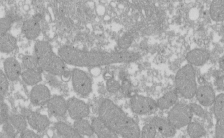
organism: Xenopus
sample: Cilia; centrioles in frog embryo cells